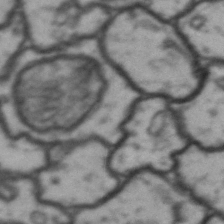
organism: Drosophila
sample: Brain